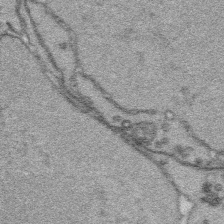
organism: Platynereis dumerilii